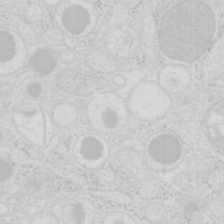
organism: Mouse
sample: Pancreas